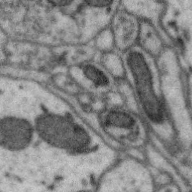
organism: Zebra finch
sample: Brain